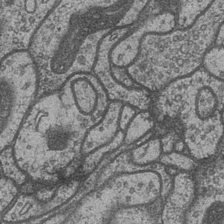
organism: Drosophila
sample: Optic medulla